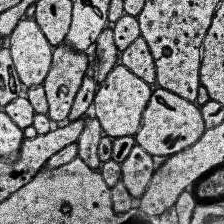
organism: Human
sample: Temporal Lobe